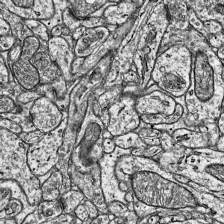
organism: Mouse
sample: Visual Cortex